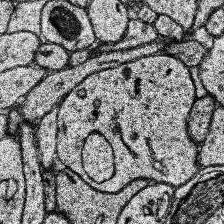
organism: Human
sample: Temporal Lobe